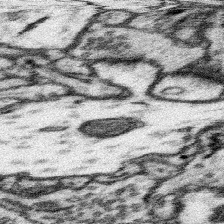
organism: Mouse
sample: Somatosensory cortex neuropil